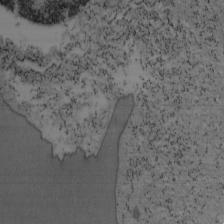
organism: Mouse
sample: OT-I killer T cells with ID8 ovarian cancer cells